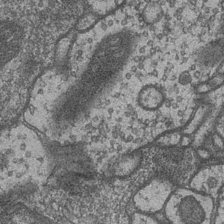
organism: Drosophila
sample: Optic medulla